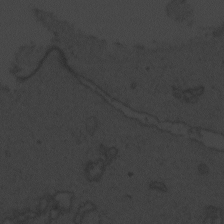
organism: Zebrafish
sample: Macrophage infected with Toxoplasma gondii